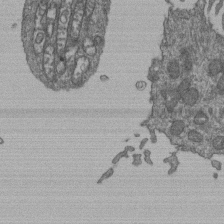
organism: Human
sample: Retinal organoid Rod and Cone cells